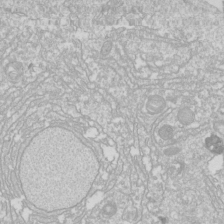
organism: Drosophila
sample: Cell division; meiosis; drosophila spermatocytes